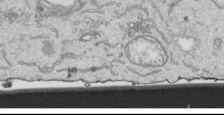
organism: Human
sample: Mitochondria in HCT116 cells